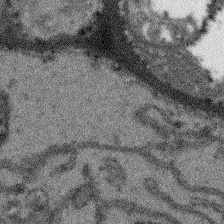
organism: Arabidopsis thaliana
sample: Root tip